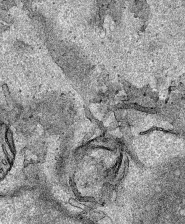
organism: Human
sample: Mitochondria in HCT116 cells